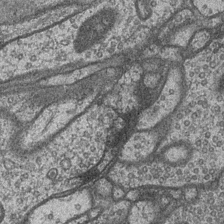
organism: Drosophila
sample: Optic medulla